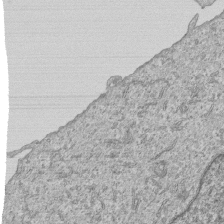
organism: Human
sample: MDA-MB-231 cells